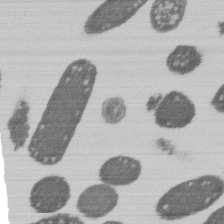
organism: E. coli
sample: Bacterial nucleoid